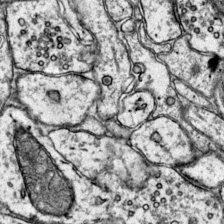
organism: Mouse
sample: Primary visual cortex